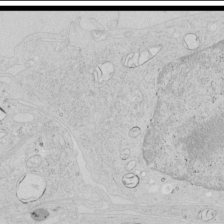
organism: Human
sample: Mitochondria in HCT116 cells